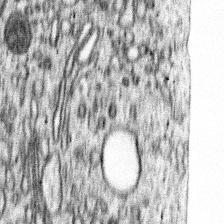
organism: Human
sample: HeLa cells